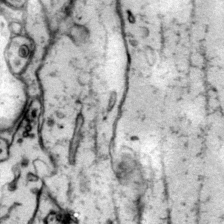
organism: Mouse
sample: Primary visual cortex